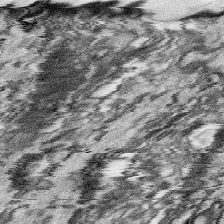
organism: Human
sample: HeLa cells